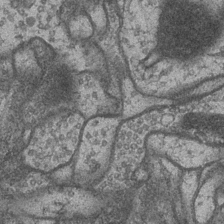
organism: Drosophila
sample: Optic medulla